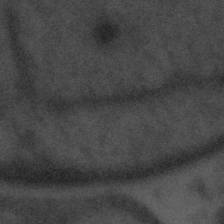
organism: Tuwongella immobilis